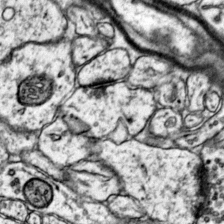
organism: Mouse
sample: Primary visual cortex